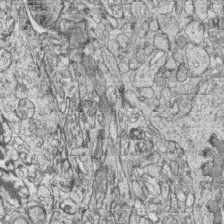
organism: Zebrafish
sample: synaptic ribbons in rod cells and cone cells